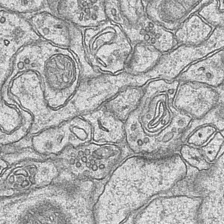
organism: Mouse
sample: CA1 Hippocampus